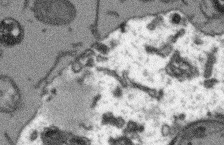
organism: Arabidopsis thaliana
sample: Root tip